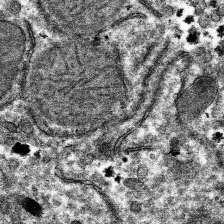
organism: Mouse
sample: Mouse hepatocytes